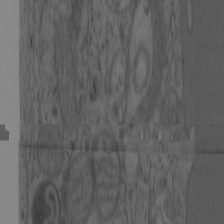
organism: Human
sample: HeLa cells